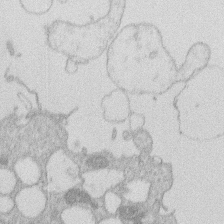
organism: Human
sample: Macrophage cells